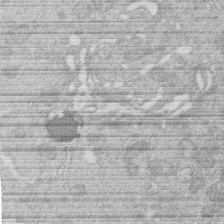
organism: Human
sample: Macrophage cells